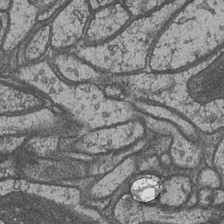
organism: Drosophila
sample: Optic medulla